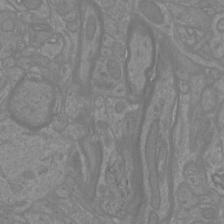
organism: Mouse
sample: Cortical neurons